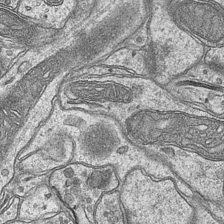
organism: Mouse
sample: CA1 Hippocampus